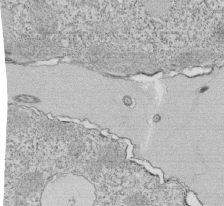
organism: Tetrahymena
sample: Cilia in tetrahymena